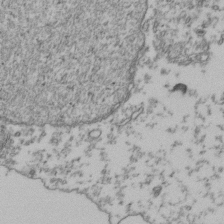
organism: Human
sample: Activated Jurkat CD4+ T cells